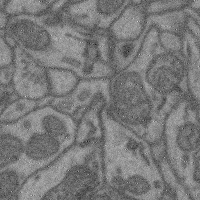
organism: Mouse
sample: Cerebral cortex